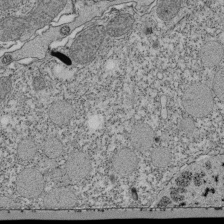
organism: Tetrahymena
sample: Cilia in tetrahymena